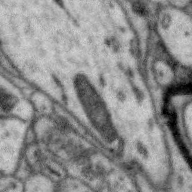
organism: Zebra finch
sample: Brain